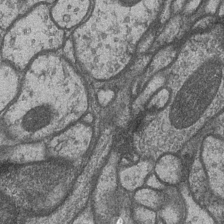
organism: Drosophila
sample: Optic medulla